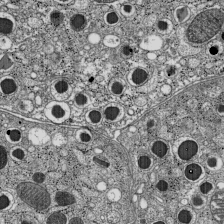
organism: C57BL Mouse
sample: Pancreatic islet